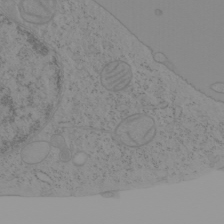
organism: Human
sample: HeLa cells